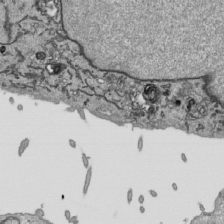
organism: Human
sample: Mitochondria in HCT116 cells